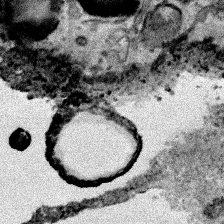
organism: Human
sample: Mitochondria in HCT116 cells